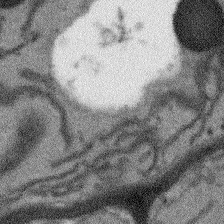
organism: Arabidopsis thaliana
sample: Root tip